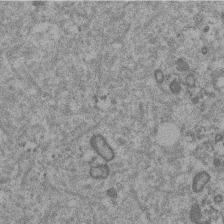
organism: Mouse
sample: Dividing mouse embryo 1 cell stage